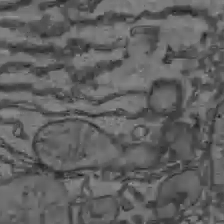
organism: C57BL Mouse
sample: Liver